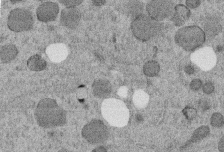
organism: C. elegans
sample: C. elegans embryo early stage